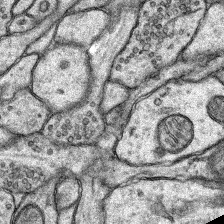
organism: Rat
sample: Hippocampus